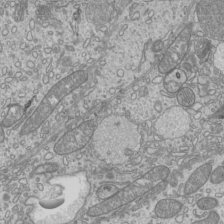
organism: Mouse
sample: Cilia; mouse epididymis